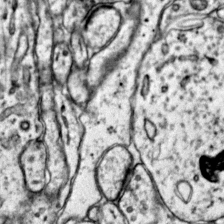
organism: Mouse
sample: Primary visual cortex